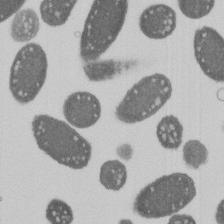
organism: E. coli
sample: Bacterial nucleoid